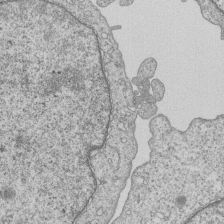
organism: Human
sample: MDA-MB-231 cells